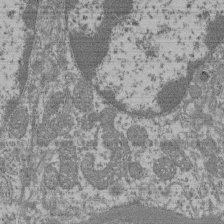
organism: Mouse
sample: Glomerulus